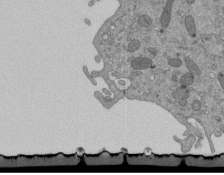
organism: Mouse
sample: ED-1 cell nuclei; centrioles